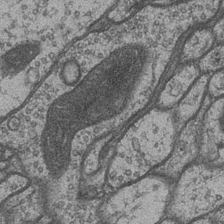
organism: Drosophila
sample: Optic medulla